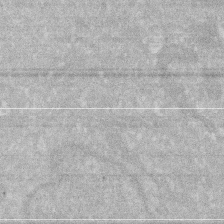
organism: Human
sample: HIV infected U937 cells